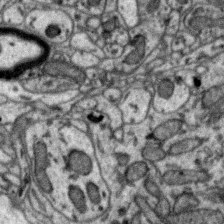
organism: Zebra finch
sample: Brain